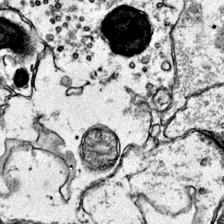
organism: Mouse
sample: Primary visual cortex